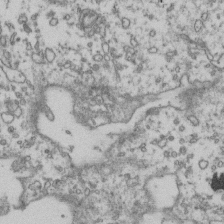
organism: Human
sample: Activated Jurkat CD4+ T cells